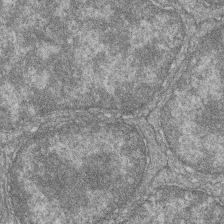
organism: Zebrafish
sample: Cilia; retinal pigment epithelium